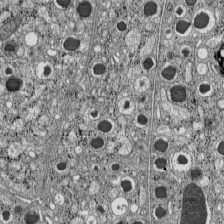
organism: C57BL Mouse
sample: Pancreatic islet